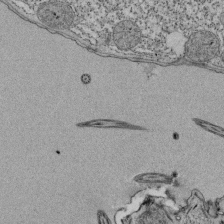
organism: Tetrahymena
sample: Cilia in tetrahymena